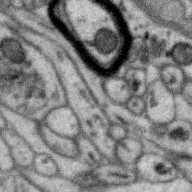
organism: Zebra finch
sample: Brain